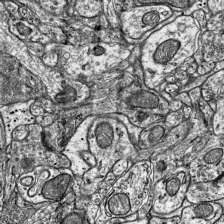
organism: Mouse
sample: Visual Cortex